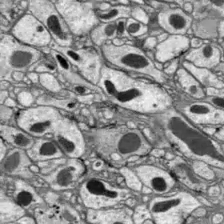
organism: Drosophila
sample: Optic lobe